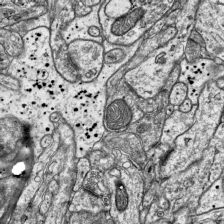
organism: Mouse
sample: Visual Cortex